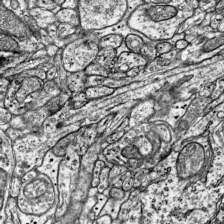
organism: Mouse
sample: Visual Cortex